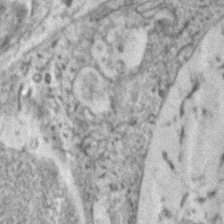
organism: Zebrafish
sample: Zebrafish embryo